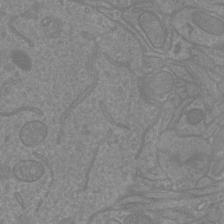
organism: Mouse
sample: Cortical neurons